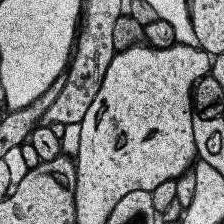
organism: Human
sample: Temporal Lobe